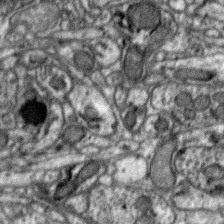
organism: Zebra finch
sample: Brain